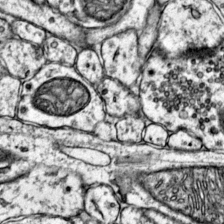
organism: Mouse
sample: Primary visual cortex